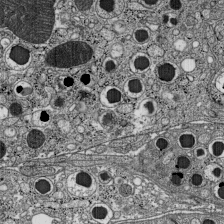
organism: C57BL Mouse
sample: Pancreatic islet